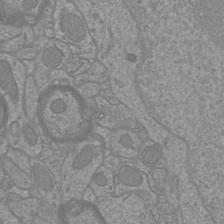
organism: Mouse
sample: Cortical neurons